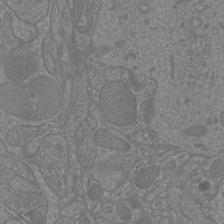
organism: Mouse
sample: Cortical neurons